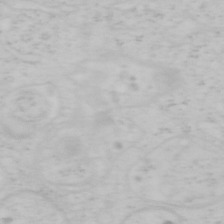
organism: Mouse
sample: OT-I killer T cells with ID8 ovarian cancer cells